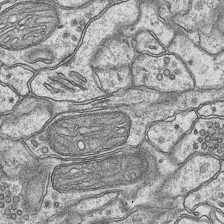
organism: Mouse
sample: CA1 Hippocampus